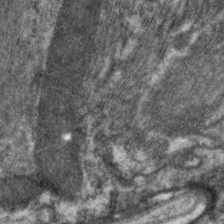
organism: C. elegans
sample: Pharynx